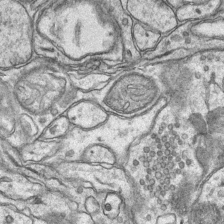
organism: Mouse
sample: CA1 Hippocampus